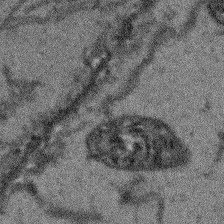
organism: Arabidopsis thaliana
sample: Root tip